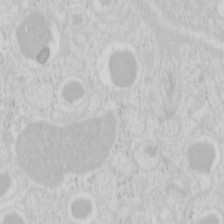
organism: Mouse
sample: Pancreas